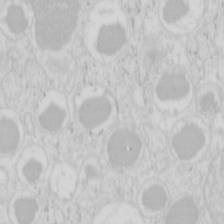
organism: Mouse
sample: Pancreas